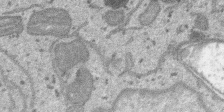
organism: Human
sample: Lung epithelial cells infected with SARS-CoV-2